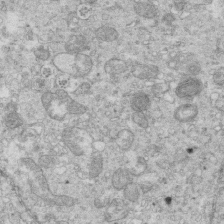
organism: Mouse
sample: Multiciliated cells